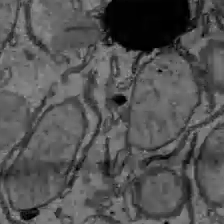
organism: C57BL Mouse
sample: Liver